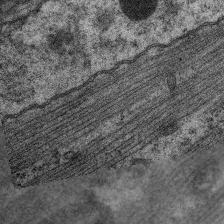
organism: C. elegans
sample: Pharynx